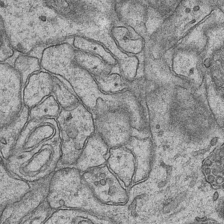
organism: Mouse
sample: CA1 Hippocampus